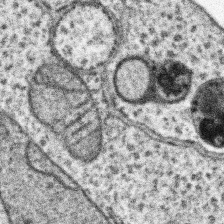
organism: Human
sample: HeLa cells